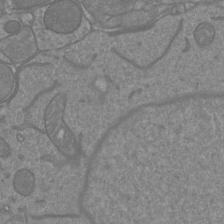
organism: Mouse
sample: Cortical neurons